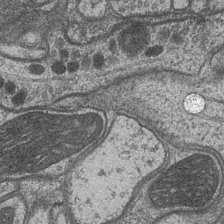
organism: Drosophila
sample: Optic medulla